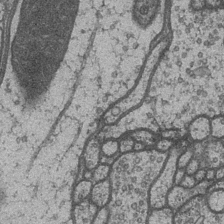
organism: Drosophila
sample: Optic medulla